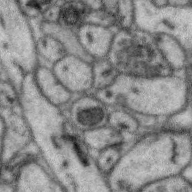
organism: Zebra finch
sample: Brain